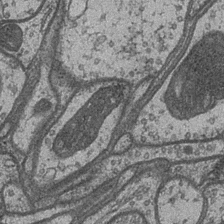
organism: Drosophila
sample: Optic medulla